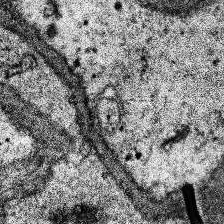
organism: Human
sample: Temporal Lobe